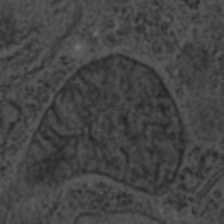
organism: C. elegans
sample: C. elegans embryo